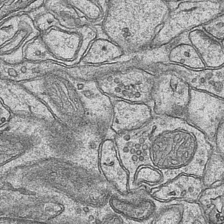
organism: Mouse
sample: CA1 Hippocampus